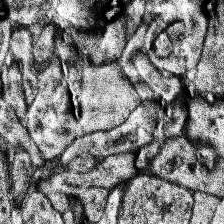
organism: Human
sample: Temporal Lobe